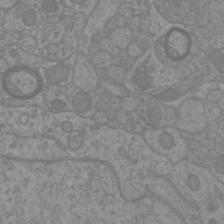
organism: Mouse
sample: Cortical neurons